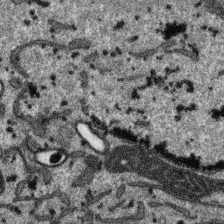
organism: Human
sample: Lung epithelial cells infected with SARS-CoV-2